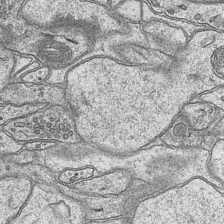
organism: Mouse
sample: CA1 Hippocampus